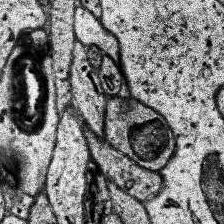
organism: Human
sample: Temporal Lobe